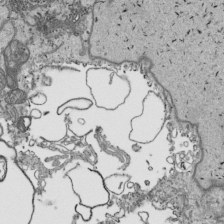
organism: Human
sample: Mitochondria in HCT116 cells